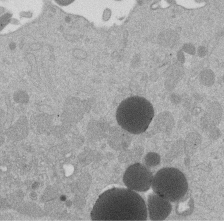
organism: Mouse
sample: Dividing mouse embryo 1 cell stage